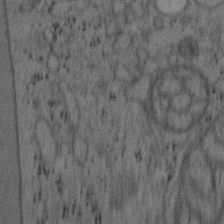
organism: Human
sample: HeLa cells